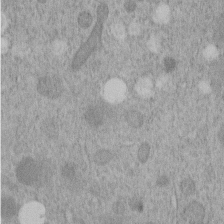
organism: C. elegans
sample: C. elegans embryo early stage